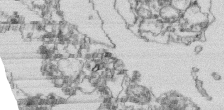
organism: Human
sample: HeLa cell HIV synapse